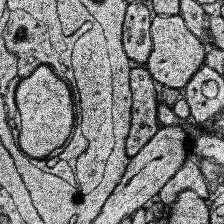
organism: Human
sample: Temporal Lobe